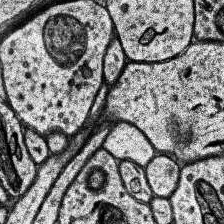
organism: Human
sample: Temporal Lobe